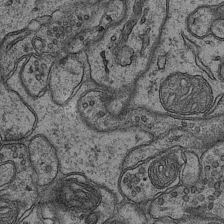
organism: Mouse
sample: CA1 Hippocampus